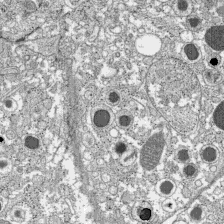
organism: C57BL Mouse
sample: Pancreatic islet